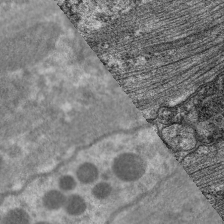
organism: C. elegans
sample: Pharynx